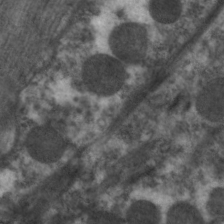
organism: C. elegans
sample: Pharynx